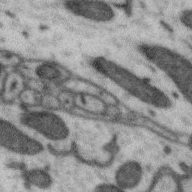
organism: Zebra finch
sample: Brain